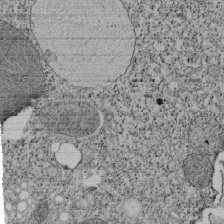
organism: Tetrahymena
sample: Cilia in tetrahymena